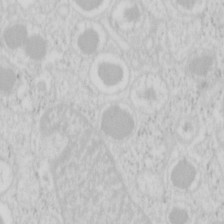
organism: Mouse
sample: Pancreas